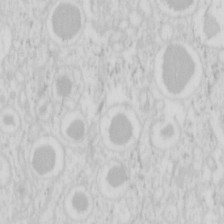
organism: Mouse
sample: Pancreas